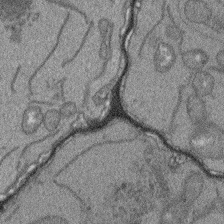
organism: Arabidopsis thaliana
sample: Root tip